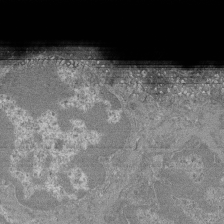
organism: Mouse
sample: Glomerulus